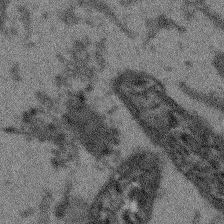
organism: Arabidopsis thaliana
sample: Root tip